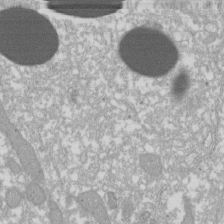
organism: Xenopus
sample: Cilia; centrioles in frog embryo cells